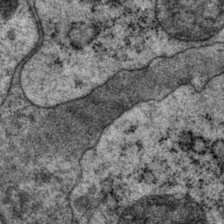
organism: P. pacificus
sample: Pharynx